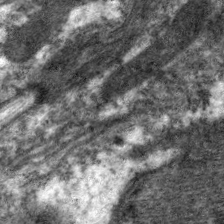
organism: C. elegans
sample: Pharynx